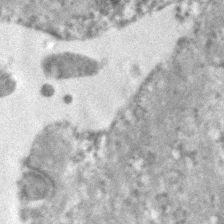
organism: Human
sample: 1205lu cells